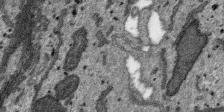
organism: Human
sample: Lung epithelial cells, uninfected (mock) control